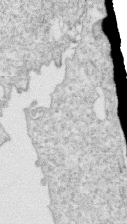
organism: Human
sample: HeLa cell HIV synapse